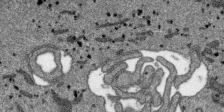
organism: Human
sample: Lung epithelial cells, uninfected (mock) control